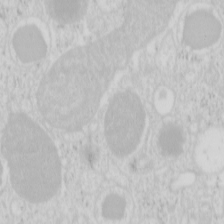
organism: Mouse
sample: Pancreas